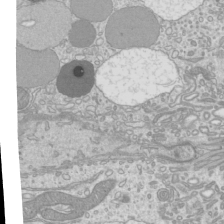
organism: Mouse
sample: Cilia; mouse epididymis